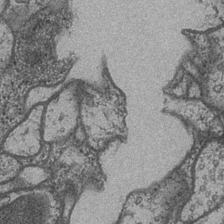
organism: Drosophila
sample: Optic medulla